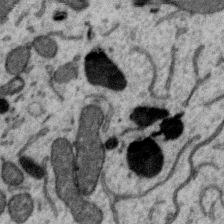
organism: Zebra finch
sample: Brain